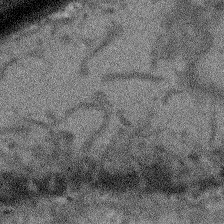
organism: Arabidopsis thaliana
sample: Root tip